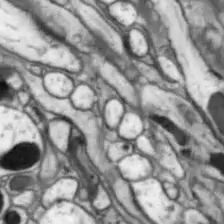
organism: Drosophila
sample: Optic lobe